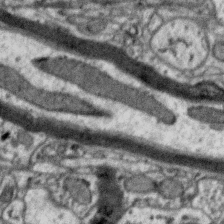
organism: Zebra finch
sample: Brain